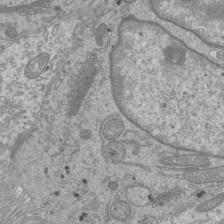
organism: Mouse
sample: Cilia; mouse epididymis